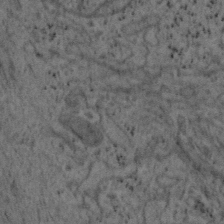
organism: Human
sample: HeLa cells